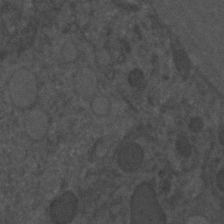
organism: C. elegans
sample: C. elegans embryo